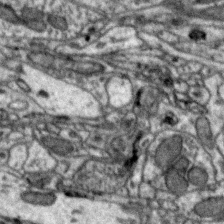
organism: Zebra finch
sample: Brain